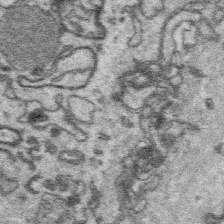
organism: Platynereis dumerilii